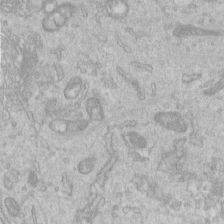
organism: Human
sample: Centriole in RPE cells